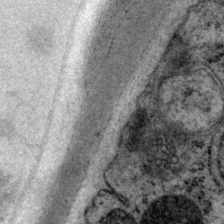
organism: P. pacificus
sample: Pharynx